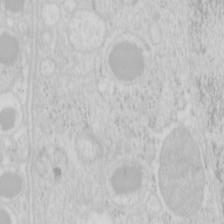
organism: Mouse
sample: Pancreas